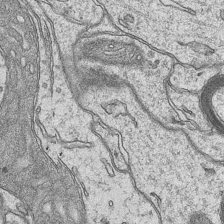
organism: Mouse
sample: CA1 Hippocampus